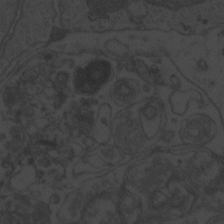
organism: Zebrafish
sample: Macrophage infected with Toxoplasma gondii